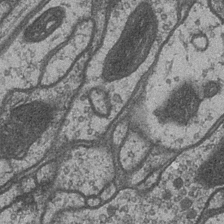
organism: Drosophila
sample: Optic medulla